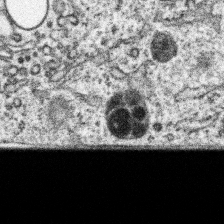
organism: Human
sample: HeLa cells